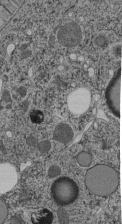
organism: C. elegans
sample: C. elegans pharynx